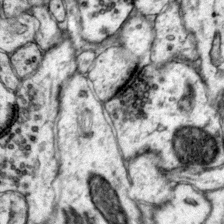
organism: Mouse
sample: Primary visual cortex